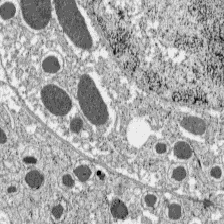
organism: C57BL Mouse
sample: Pancreatic islet